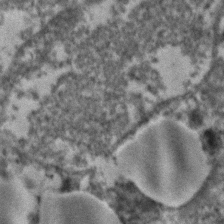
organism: Human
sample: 1205lu cells